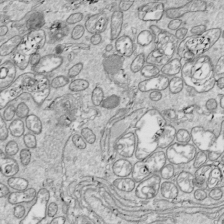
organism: Drosophila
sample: Cell division; meiosis; drosophila spermatocytes